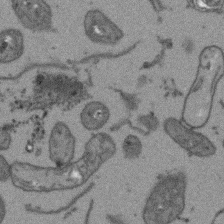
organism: Arabidopsis thaliana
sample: Root tip